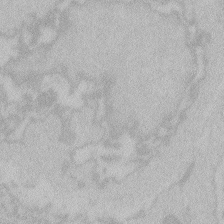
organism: Zebrafish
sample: Macrophage infected with Toxoplasma gondii